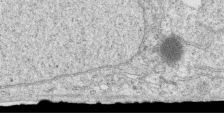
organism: Human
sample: HeLa cell HIV synapse